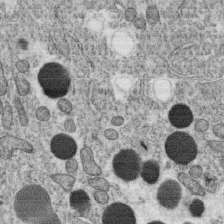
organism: C. elegans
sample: C. elegans oocyte; sperm cells